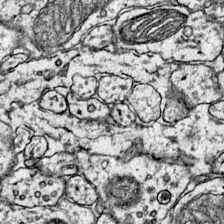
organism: Mouse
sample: Primary visual cortex